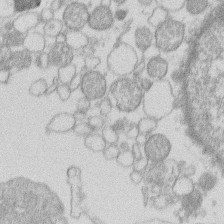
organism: Human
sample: Macrophage cells